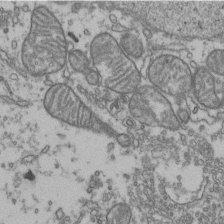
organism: Human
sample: Activated Jurkat CD4+ T cells